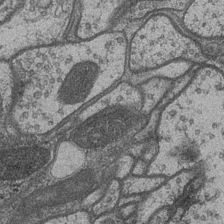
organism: Drosophila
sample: Optic medulla